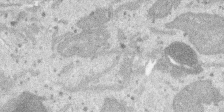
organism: Human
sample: Lung epithelial cells infected with SARS-CoV-2